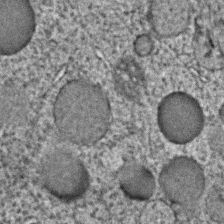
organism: C. elegans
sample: C. elegans embryo